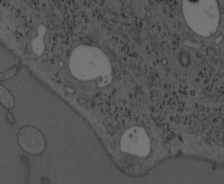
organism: Mouse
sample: OT-I killer T cells with ID8 ovarian cancer cells